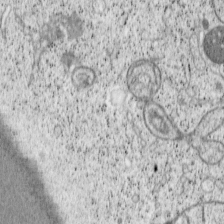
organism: African green monkey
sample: COS-7 cells